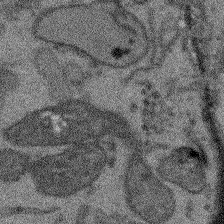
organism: Arabidopsis thaliana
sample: Root tip